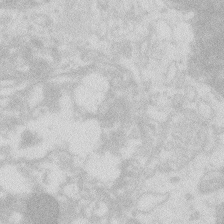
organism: Zebrafish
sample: Macrophage